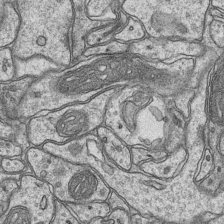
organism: Mouse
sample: CA1 Hippocampus